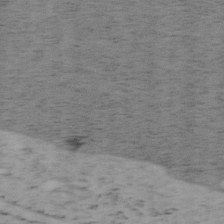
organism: Mouse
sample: OT-I killer T cells with ID8 ovarian cancer cells